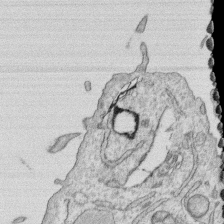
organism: Human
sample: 1205lu cells